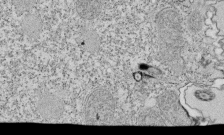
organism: Tetrahymena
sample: Cilia in tetrahymena